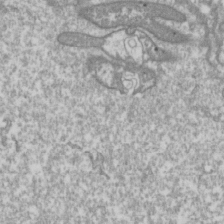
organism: Drosophila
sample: Cell division; meiosis; drosophila spermatocytes